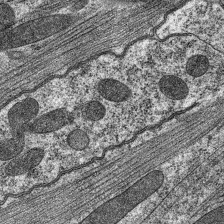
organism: C. elegans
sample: Pharynx